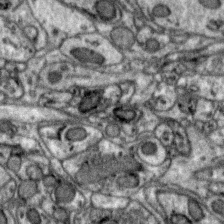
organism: Zebra finch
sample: Brain